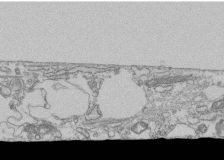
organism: Human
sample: Fibroblast cells